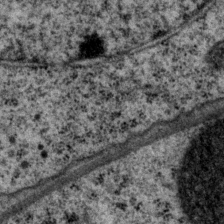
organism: P. pacificus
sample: Pharynx